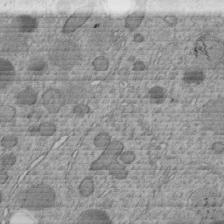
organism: C. elegans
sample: C. elegans embryo early stage